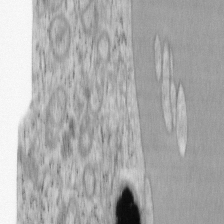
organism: Human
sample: HeLa cells